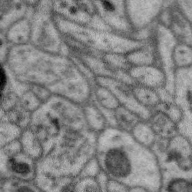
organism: Zebra finch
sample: Brain